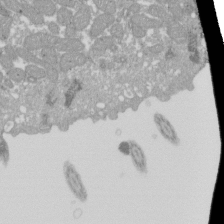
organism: Xenopus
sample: Cilia; centrioles in frog embryo cells